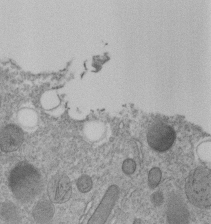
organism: C. elegans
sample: C. elegans embryo early stage